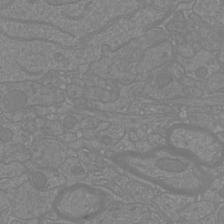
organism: Mouse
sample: Cortical neurons